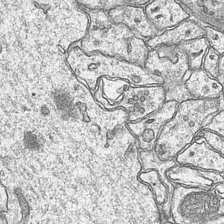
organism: Mouse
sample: CA1 Hippocampus